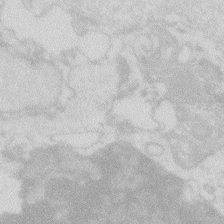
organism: Zebrafish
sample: Macrophage